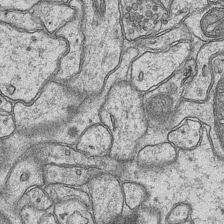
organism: Mouse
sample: CA1 Hippocampus